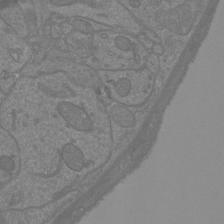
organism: Mouse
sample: Cortical neurons